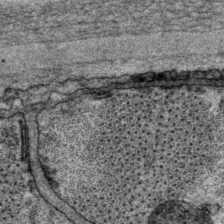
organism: P. pacificus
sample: Pharynx